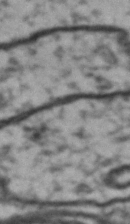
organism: Drosophila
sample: Brain